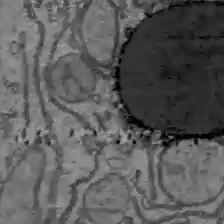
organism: C57BL Mouse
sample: Liver